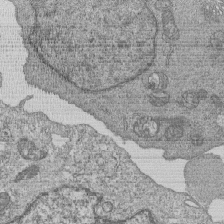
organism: Human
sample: MDA-MB-231 cells